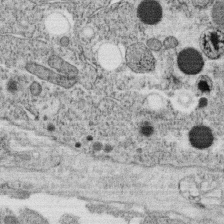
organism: C. elegans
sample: C. elegans oocyte; sperm cells